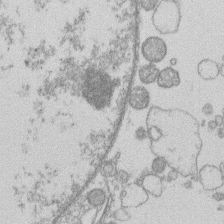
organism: Human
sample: Macrophage cells